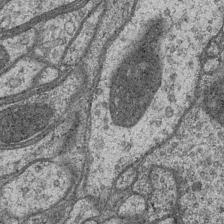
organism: Drosophila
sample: Optic medulla